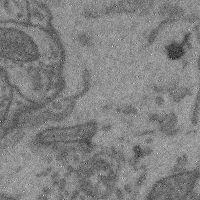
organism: Mouse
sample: Cerebral cortex